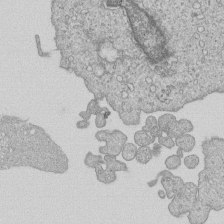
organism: Human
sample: MDA-MB-231 cells